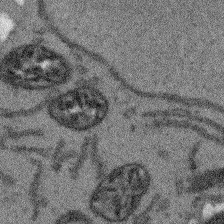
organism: Arabidopsis thaliana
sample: Root tip